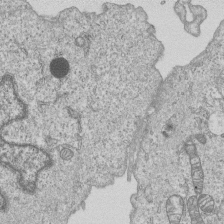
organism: Human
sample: MDA-MB-231 cells